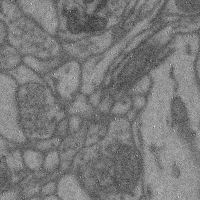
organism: Mouse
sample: Cerebral cortex